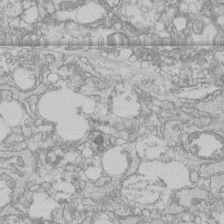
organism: Human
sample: CRL-1474